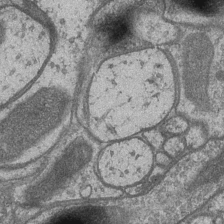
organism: Drosophila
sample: Optic medulla